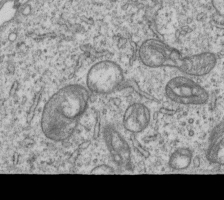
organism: Human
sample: MDA-MB-231 cells